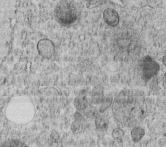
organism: C. elegans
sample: C. elegans embryo early stage